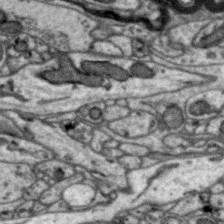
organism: Zebra finch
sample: Brain